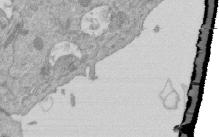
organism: Mouse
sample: ED-1 cell nuclei; centrioles